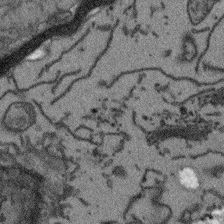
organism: Arabidopsis thaliana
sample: Root tip